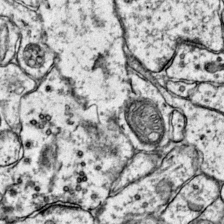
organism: Mouse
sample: Primary visual cortex